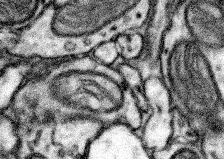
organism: Mouse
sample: Somatosensory cortex neuropil